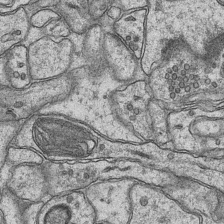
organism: Mouse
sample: CA1 Hippocampus